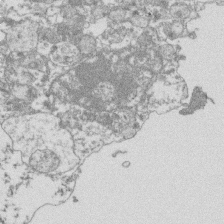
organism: Human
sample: HeLa cell HIV synapse